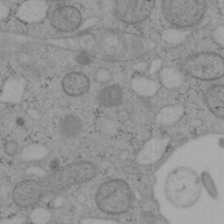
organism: Mouse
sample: OT-I killer T cells with ID8 ovarian cancer cells